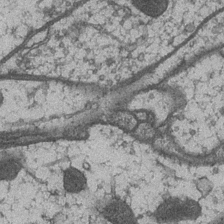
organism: Drosophila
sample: Optic medulla